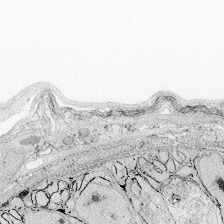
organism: Zebrafish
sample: Whole-Brain